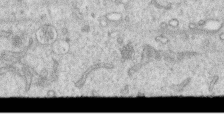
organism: Human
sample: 1205lu cells